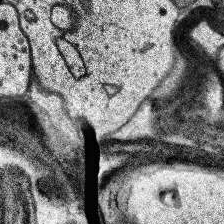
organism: Human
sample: Temporal Lobe